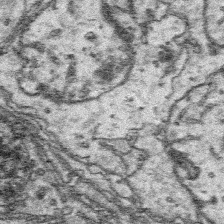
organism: Platynereis dumerilii